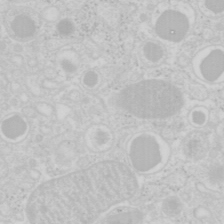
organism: Mouse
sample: Pancreas